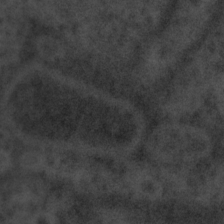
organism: Tuwongella immobilis